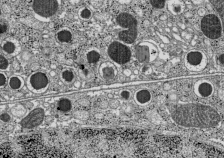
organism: C57BL Mouse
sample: Pancreatic islet